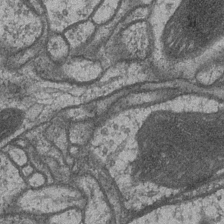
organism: Drosophila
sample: Optic medulla